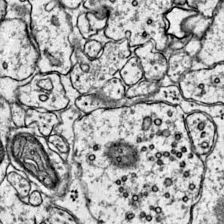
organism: Mouse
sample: Primary visual cortex